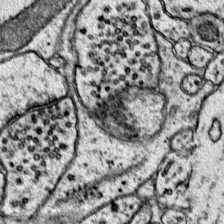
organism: Mouse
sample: Primary visual cortex